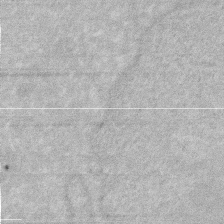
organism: Human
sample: HIV infected U937 cells